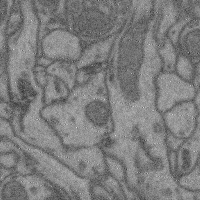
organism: Mouse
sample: Cerebral cortex